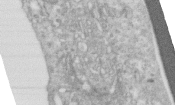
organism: Human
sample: Centriole in RPE cells